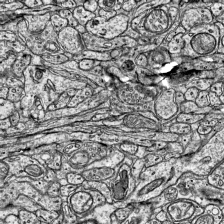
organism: Mouse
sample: Visual Cortex